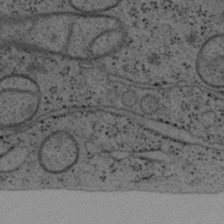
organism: Human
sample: HeLa cells